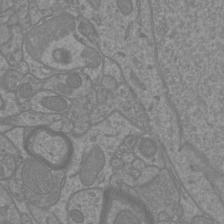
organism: Mouse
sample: Cortical neurons